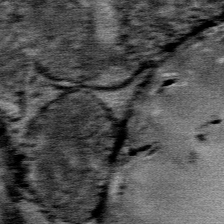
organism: Mouse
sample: Mouse Salivary gland